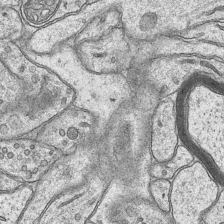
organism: Mouse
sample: CA1 Hippocampus